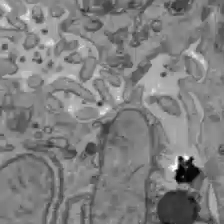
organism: C57BL Mouse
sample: Liver